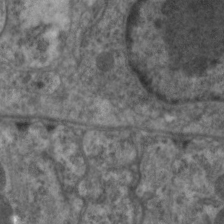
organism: C. elegans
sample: Pharynx